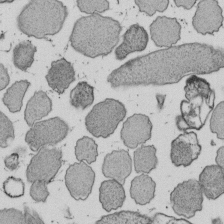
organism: E. coli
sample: Bacterial nucleoid